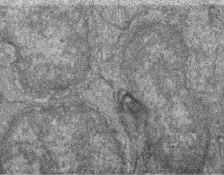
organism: Zebrafish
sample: Cilia; retinal pigment epithelium